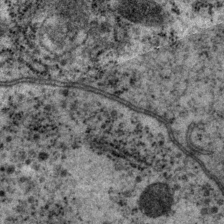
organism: P. pacificus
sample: Pharynx